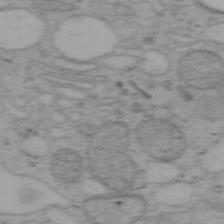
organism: Mouse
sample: OT-I killer T cells with ID8 ovarian cancer cells